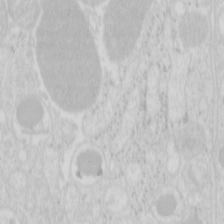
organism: Mouse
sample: Pancreas